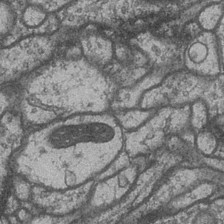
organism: Drosophila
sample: Optic medulla